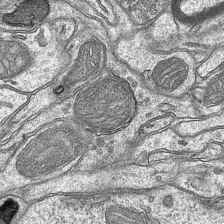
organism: Mouse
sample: CA1 Hippocampus